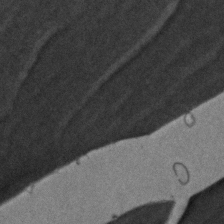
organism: Zebrafish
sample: Zebrafish embryo